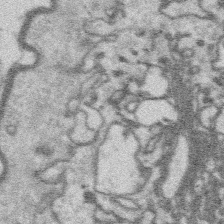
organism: Platynereis dumerilii